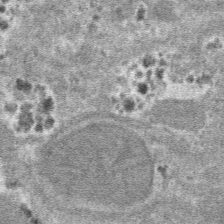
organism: Mouse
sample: Mouse hepatocytes